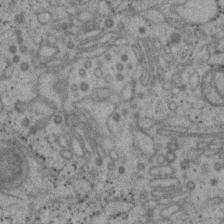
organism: Human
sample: HeLa cells